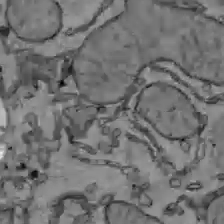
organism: C57BL Mouse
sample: Liver